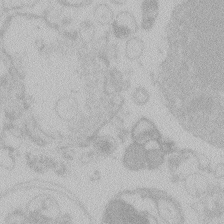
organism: Zebrafish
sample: Macrophage infected with Toxoplasma gondii